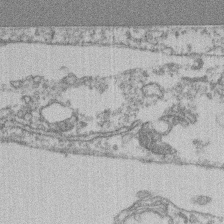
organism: Mouse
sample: T cell stromal cell synapse